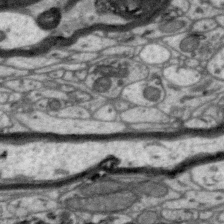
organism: Zebra finch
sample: Brain